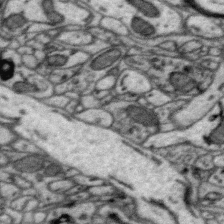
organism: Zebra finch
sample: Brain